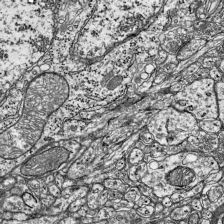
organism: Mouse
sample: Visual Cortex